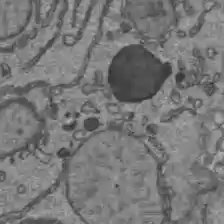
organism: C57BL Mouse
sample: Liver